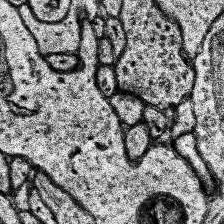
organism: Human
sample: Temporal Lobe